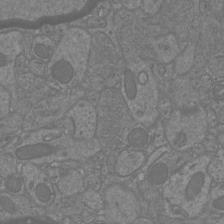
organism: Mouse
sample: Cortical neurons